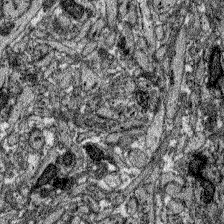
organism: Zebrafish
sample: Larval olfactory bulb